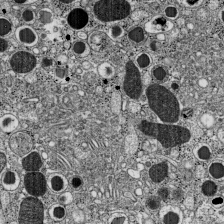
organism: C57BL Mouse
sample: Pancreatic islet